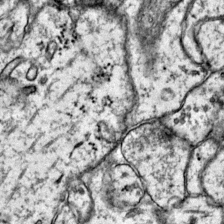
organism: Mouse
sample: Primary visual cortex